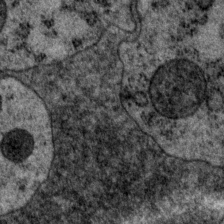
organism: P. pacificus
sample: Pharynx